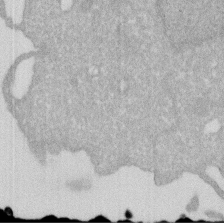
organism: Human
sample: HIV infected U937 cells